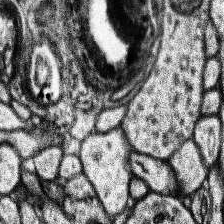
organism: Human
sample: Temporal Lobe